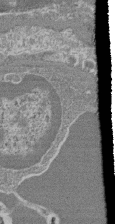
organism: Mouse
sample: Glomerulus